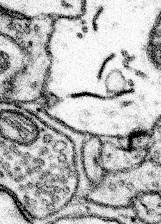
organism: Mouse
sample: Somatosensory cortex neuropil